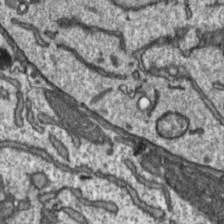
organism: Toxoplasma gondii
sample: Parasites in a vacuole inside a host cell